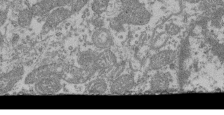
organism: Mouse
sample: Glomerulus